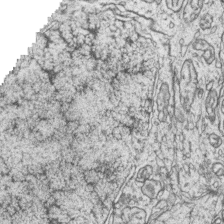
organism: Zebrafish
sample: synaptic ribbons in rod cells and cone cells